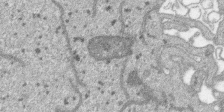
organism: Human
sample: Lung epithelial cells infected with SARS-CoV-2